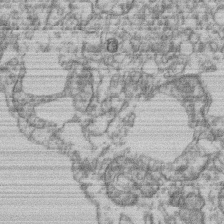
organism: Mouse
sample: T cell stromal cell synapse